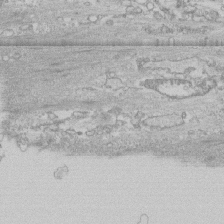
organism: Human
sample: CRL-1474